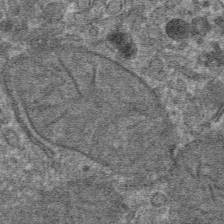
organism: Mouse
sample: Mouse hepatocytes